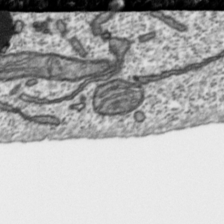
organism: Toxoplasma gondii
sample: Parasites in a vacuole inside a host cell